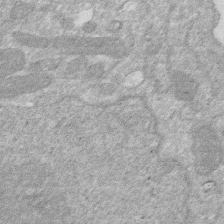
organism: Human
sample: HIV infected U937 cells